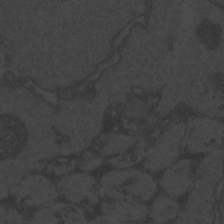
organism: Zebrafish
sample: Macrophage infected with Toxoplasma gondii